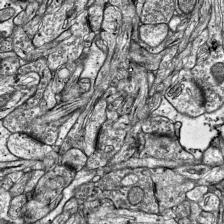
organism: Mouse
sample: Visual Cortex